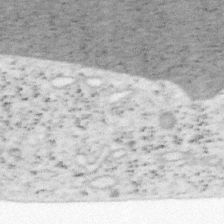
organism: Mouse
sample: OT-I killer T cells with ID8 ovarian cancer cells